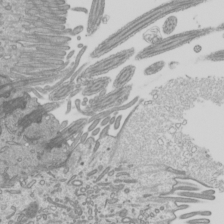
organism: Mouse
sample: Cilia; mouse epididymis